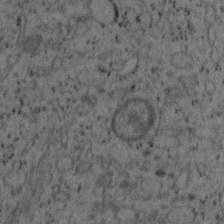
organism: Human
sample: HeLa cells